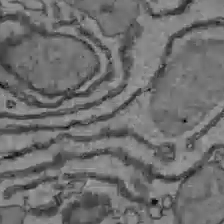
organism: C57BL Mouse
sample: Liver